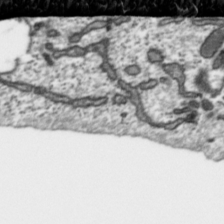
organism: Toxoplasma gondii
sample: Parasites in a vacuole inside a host cell